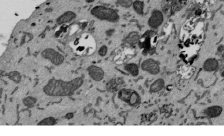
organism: Mouse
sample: ED-1 cell nuclei; centrioles